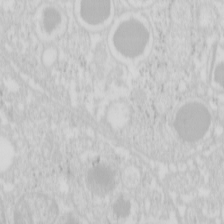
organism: Mouse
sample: Pancreas